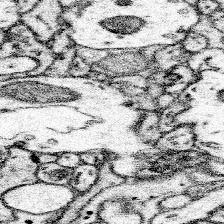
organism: Mouse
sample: Somatosensory cortex neuropil